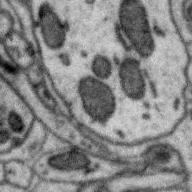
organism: Zebra finch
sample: Brain